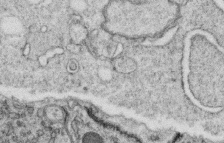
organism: C. elegans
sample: C. elegans oocyte; sperm cells